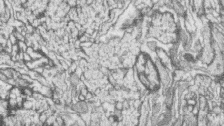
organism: Zebrafish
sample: synaptic ribbons in rod cells and cone cells